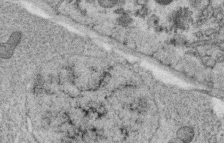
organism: C. elegans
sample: C. elegans oocyte; sperm cells